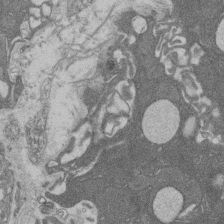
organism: Rat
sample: Salivary granule